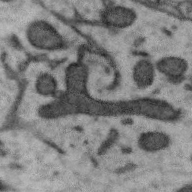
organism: Zebra finch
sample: Brain